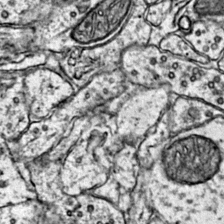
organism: Mouse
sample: Primary visual cortex